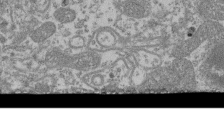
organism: Mouse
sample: Glomerulus